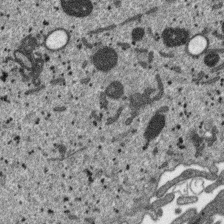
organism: Human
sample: Lung epithelial cells infected with SARS-CoV-2